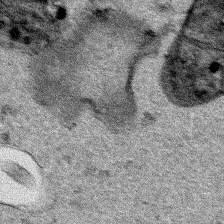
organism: Human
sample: Mitochondria in HCT116 cells